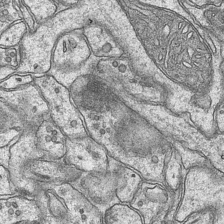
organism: Mouse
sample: CA1 Hippocampus